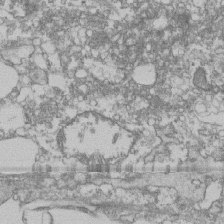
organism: Human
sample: Fibroblast cells